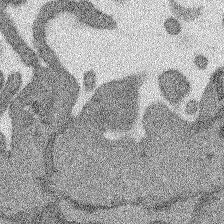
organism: Human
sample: HeLa cells